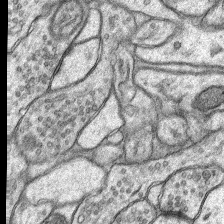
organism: Rat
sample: Hippocampus